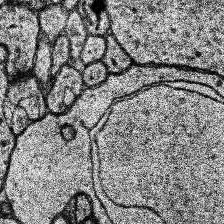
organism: Human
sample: Temporal Lobe